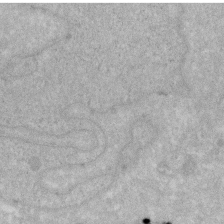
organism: Human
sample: HIV infected U937 cells